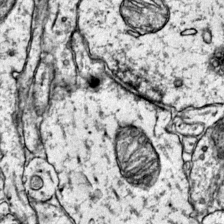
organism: Mouse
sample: Primary visual cortex